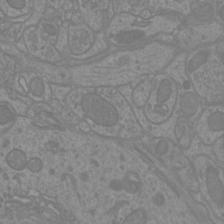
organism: Mouse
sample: Cortical neurons